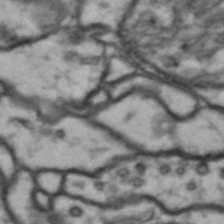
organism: Drosophila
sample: Brain